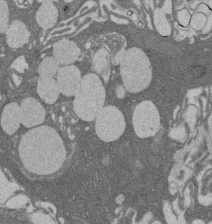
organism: Rat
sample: Salivary granule